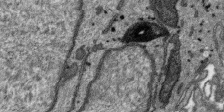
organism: Human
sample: Lung epithelial cells, uninfected (mock) control